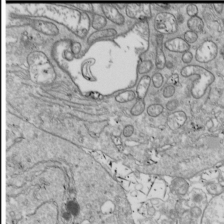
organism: Drosophila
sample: Cell division; meiosis; drosophila spermatocytes